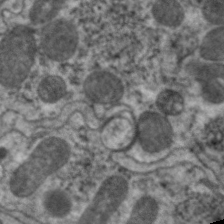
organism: C. elegans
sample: Pharynx